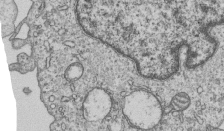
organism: Human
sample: MDA-MB-231 cells